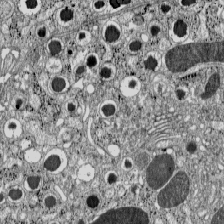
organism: C57BL Mouse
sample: Pancreatic islet